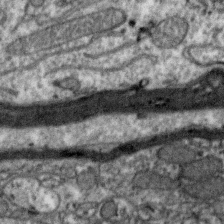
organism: Zebra finch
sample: Brain